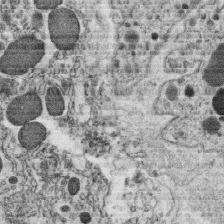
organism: C. elegans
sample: C. elegans oocyte; sperm cells